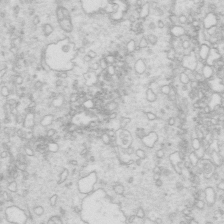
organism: Mouse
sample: Multiciliated cells